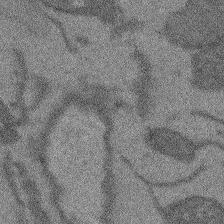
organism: Arabidopsis thaliana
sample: Root tip